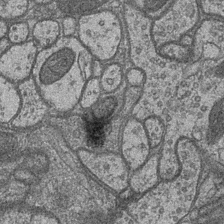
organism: Drosophila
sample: Optic medulla